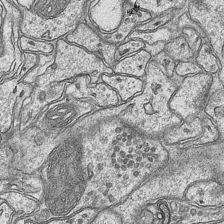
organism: Mouse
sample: CA1 Hippocampus